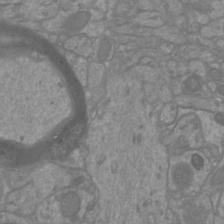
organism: Mouse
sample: Cortical neurons